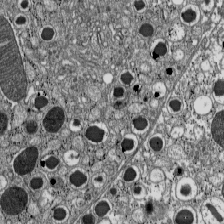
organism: C57BL Mouse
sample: Pancreatic islet